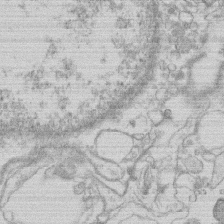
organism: Human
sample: Macrophage cells